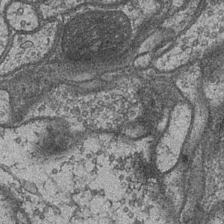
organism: Drosophila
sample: Optic medulla